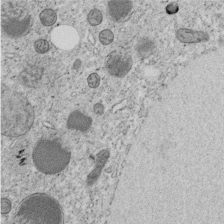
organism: C. elegans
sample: C. elegans embryo early stage